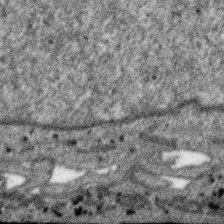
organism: Human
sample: Lung epithelial cells infected with SARS-CoV-2